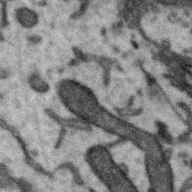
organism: Zebra finch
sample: Brain